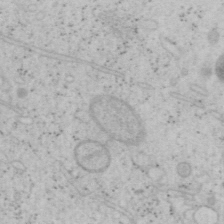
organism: Human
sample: HeLa cells